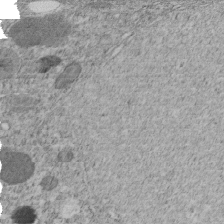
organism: C. elegans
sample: C. elegans embryo early stage